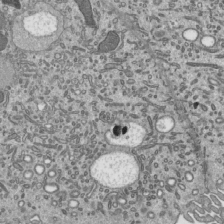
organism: Mouse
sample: Mouse epididymis efferent ductule cilia